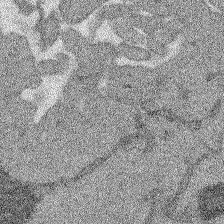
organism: Human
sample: HeLa cells